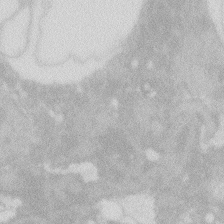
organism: Zebrafish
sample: Macrophage